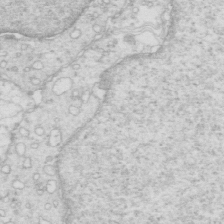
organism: Mouse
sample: Multiciliated cells